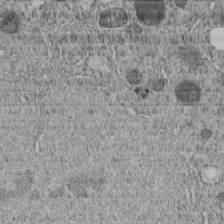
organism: C. elegans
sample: C. elegans embryo early stage